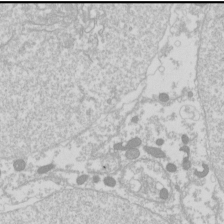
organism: Drosophila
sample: Cell division; meiosis; drosophila spermatocytes